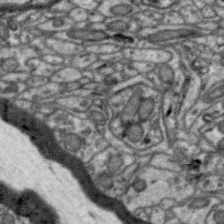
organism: Zebra finch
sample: Brain